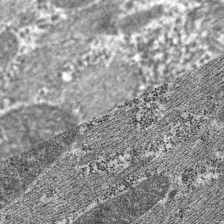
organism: C. elegans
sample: Pharynx